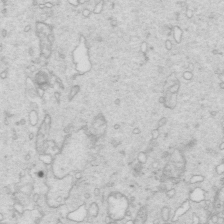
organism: Mouse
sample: Multiciliated cells